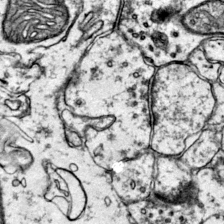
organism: Mouse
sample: Primary visual cortex